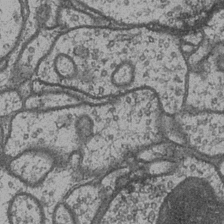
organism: Drosophila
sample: Optic medulla